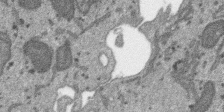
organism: Human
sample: Lung epithelial cells infected with SARS-CoV-2